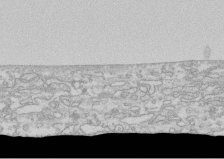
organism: Human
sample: CRL-1474